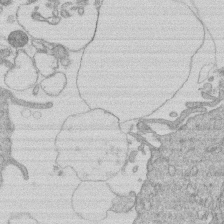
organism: Human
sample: Macrophage cells